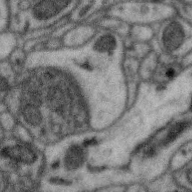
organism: Zebra finch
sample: Brain